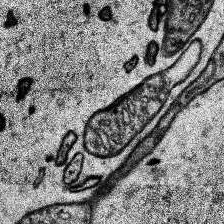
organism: Human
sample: Temporal Lobe